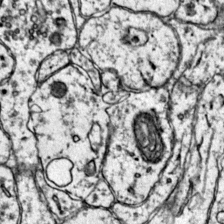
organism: Mouse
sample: Primary visual cortex